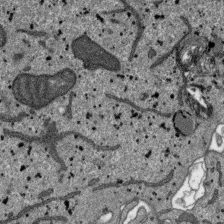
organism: Human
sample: Lung epithelial cells, uninfected (mock) control